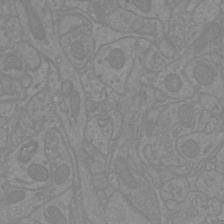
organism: Mouse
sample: Cortical neurons